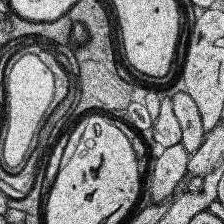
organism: Human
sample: Temporal Lobe